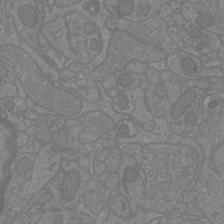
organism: Mouse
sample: Cortical neurons